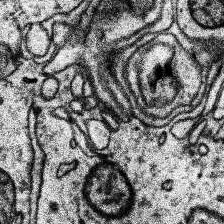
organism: Human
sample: Temporal Lobe